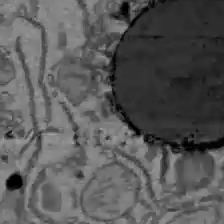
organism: C57BL Mouse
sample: Liver